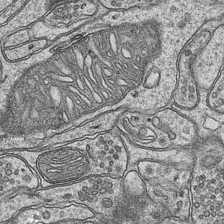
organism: Mouse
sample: CA1 Hippocampus